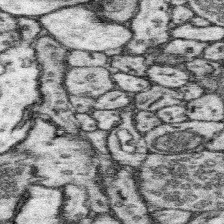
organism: Mouse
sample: Somatosensory cortex neuropil